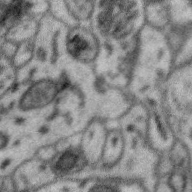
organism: Zebra finch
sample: Brain